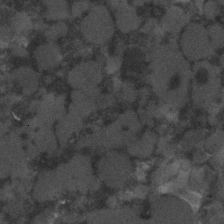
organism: C. elegans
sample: C. elegans embryo